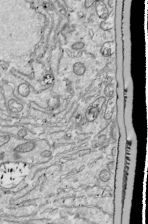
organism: Drosophila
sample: Cell division; meiosis; drosophila spermatocytes